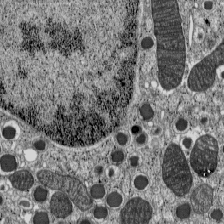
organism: C57BL Mouse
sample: Pancreatic islet